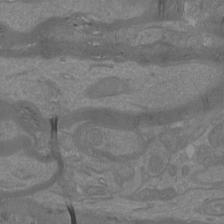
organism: Mouse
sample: Cortical neurons